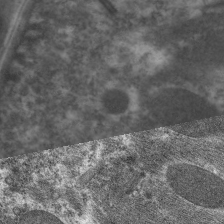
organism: C. elegans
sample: Pharynx